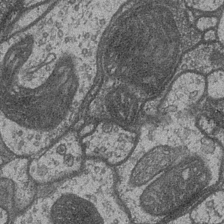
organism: Drosophila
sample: Optic medulla